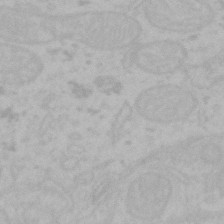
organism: Mouse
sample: Choroid plexus